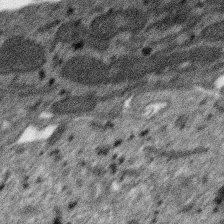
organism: Human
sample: Lung epithelial cells infected with SARS-CoV-2